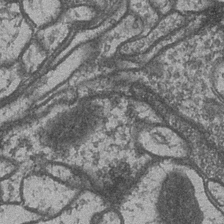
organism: Drosophila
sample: Optic medulla